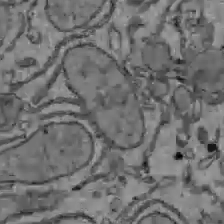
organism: C57BL Mouse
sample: Liver